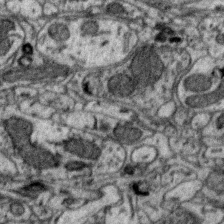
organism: Zebra finch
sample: Brain